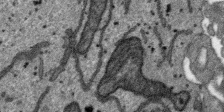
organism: Human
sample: Lung epithelial cells, uninfected (mock) control